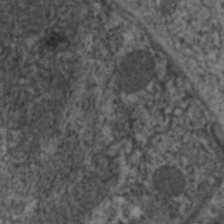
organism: C. elegans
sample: Pharynx